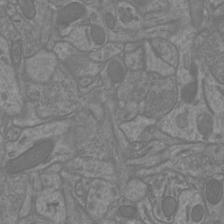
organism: Mouse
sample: Cortical neurons